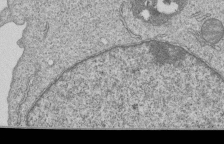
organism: Human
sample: MDA-MB-231 cells